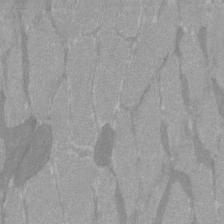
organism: C57BL Mouse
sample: Tibialis anterior muscle cell